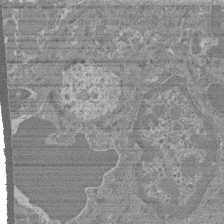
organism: Mouse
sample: Glomerulus